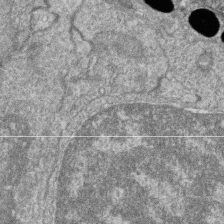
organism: Zebrafish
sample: Cilia; retinal pigment epithelium